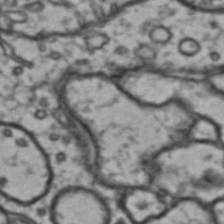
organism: Drosophila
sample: Brain